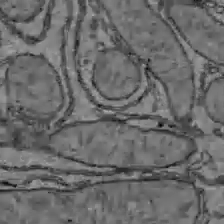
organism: C57BL Mouse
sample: Liver